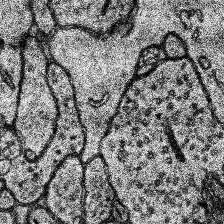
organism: Human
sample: Temporal Lobe